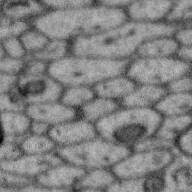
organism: Zebra finch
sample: Brain